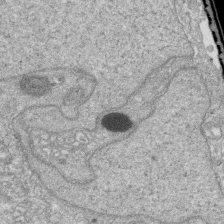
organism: Human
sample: HeLa cell HIV synapse